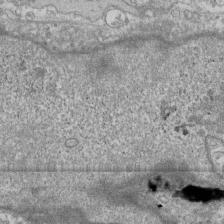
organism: Human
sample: Fibroblast cells